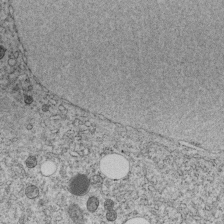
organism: C. elegans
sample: C. elegans embryo early stage